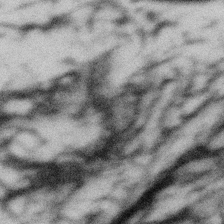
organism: Gemmata obscuriglobus